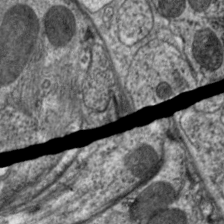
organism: C. elegans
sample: Pharynx